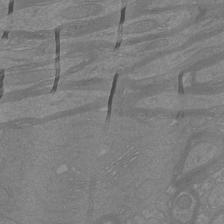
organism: Mouse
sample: Cortical neurons